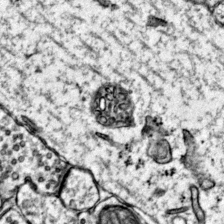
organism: Mouse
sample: Primary visual cortex